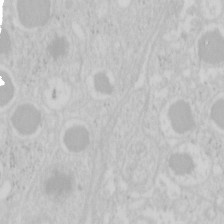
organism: Mouse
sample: Pancreas